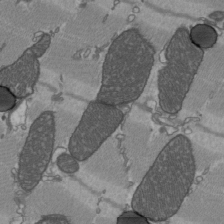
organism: C57BL Mouse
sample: Heart